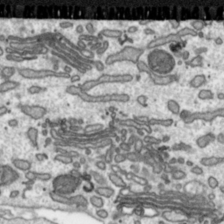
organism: Toxoplasma gondii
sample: Parasites in a vacuole inside a host cell